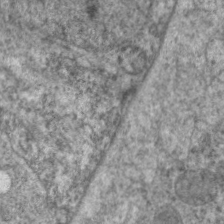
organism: C. elegans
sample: Pharynx